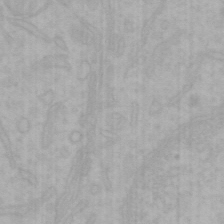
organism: Mouse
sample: Choroid plexus